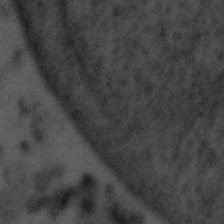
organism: Tuwongella immobilis